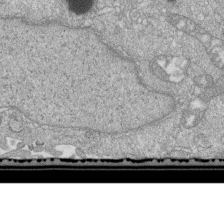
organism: Human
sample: HeLa cell HIV synapse